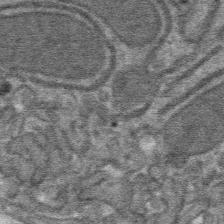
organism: Mouse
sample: Mouse hepatocytes